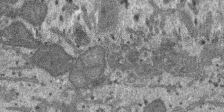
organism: Human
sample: Lung epithelial cells infected with SARS-CoV-2